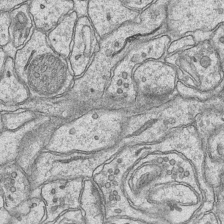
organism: Mouse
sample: CA1 Hippocampus